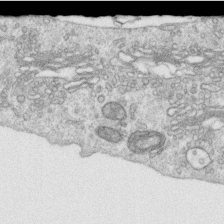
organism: Human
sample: Centriole in RPE cells